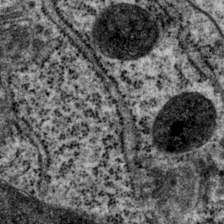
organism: P. pacificus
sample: Pharynx